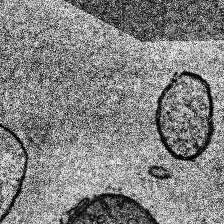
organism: Human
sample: Temporal Lobe